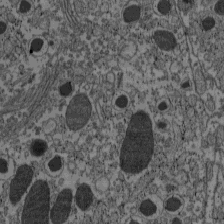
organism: C57BL Mouse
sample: Pancreatic islet